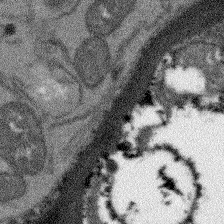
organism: Arabidopsis thaliana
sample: Root tip